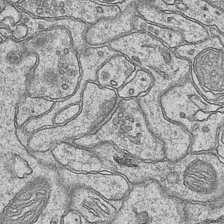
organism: Mouse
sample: CA1 Hippocampus